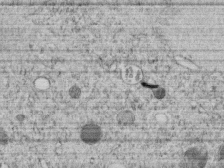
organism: C. elegans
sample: C. elegans embryo early stage